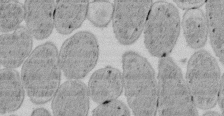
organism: E. coli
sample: Bacterial nucleoid